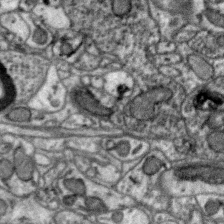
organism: Zebra finch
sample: Brain